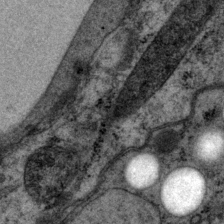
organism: P. pacificus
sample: Pharynx